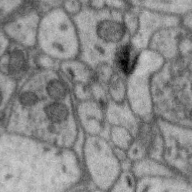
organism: Zebra finch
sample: Brain